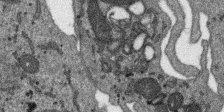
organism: Human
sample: Lung epithelial cells infected with SARS-CoV-2